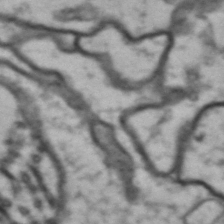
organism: Drosophila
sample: Brain